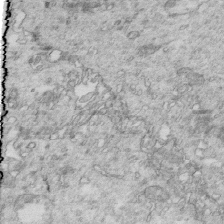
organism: Mouse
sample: Multiciliated cells